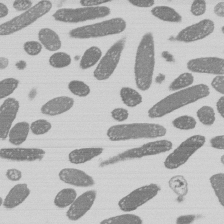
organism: E. coli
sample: Bacterial nucleoid